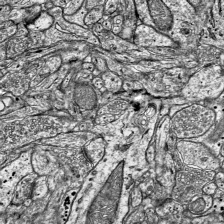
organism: Mouse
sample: Visual Cortex